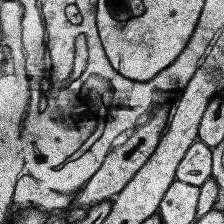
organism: Human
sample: Temporal Lobe